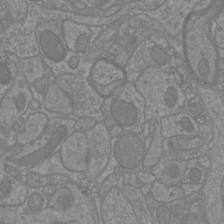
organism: Mouse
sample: Cortical neurons